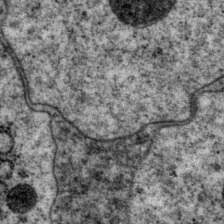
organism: P. pacificus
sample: Pharynx